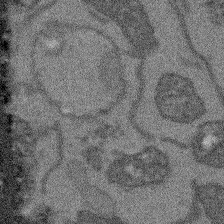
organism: Arabidopsis thaliana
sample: Root tip